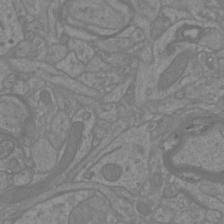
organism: Mouse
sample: Cortical neurons